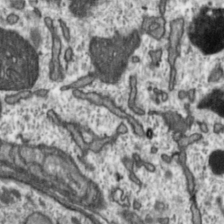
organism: Toxoplasma gondii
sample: Parasites in a vacuole inside a host cell